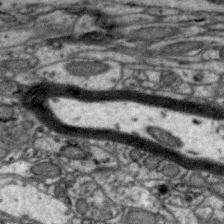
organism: Zebra finch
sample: Brain